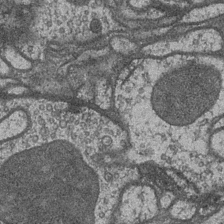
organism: Drosophila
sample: Optic medulla